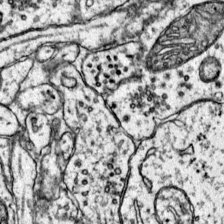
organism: Mouse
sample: Primary visual cortex